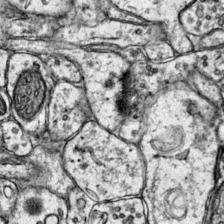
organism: Mouse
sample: Primary visual cortex